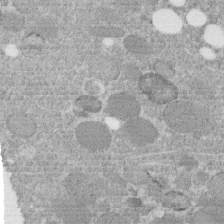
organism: C. elegans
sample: C. elegans embryo early stage